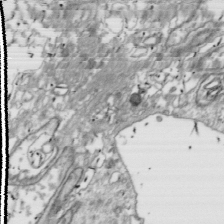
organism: Drosophila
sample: Cell division; meiosis; drosophila spermatocytes